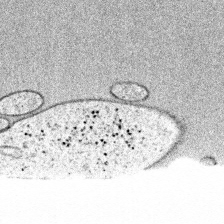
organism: Human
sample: HeLa cells